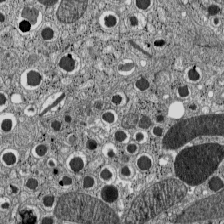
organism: C57BL Mouse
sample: Pancreatic islet